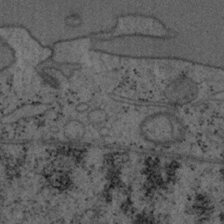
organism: Human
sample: HeLa cells